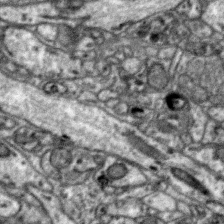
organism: Zebra finch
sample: Brain